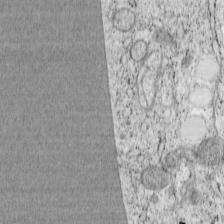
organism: African green monkey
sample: COS-7 cells